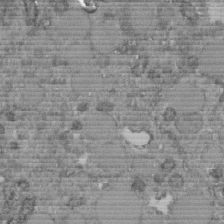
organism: C. elegans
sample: C. elegans embryo early stage